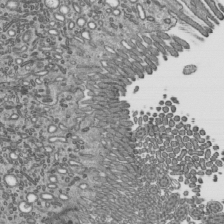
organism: Mouse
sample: Mouse epididymis efferent ductule cilia